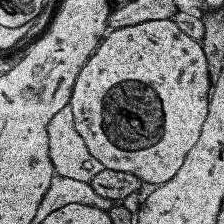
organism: Human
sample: Temporal Lobe